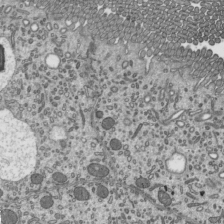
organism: Mouse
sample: Mouse epididymis efferent ductule cilia